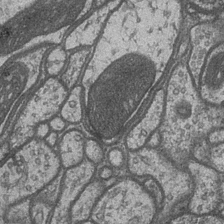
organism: Drosophila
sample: Optic medulla